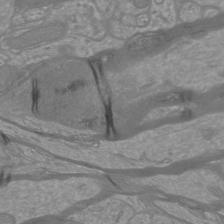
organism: Mouse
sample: Cortical neurons